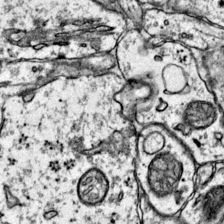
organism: Mouse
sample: Primary visual cortex